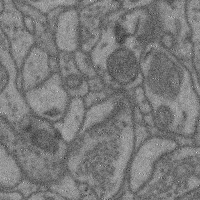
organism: Mouse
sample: Cerebral cortex